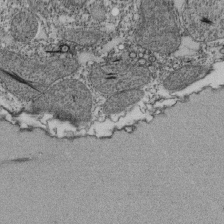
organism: Tetrahymena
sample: Cilia in tetrahymena